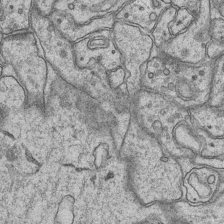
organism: Mouse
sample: CA1 Hippocampus